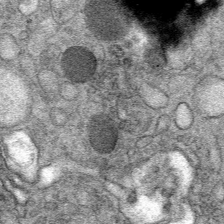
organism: Mouse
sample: Mouse Salivary gland